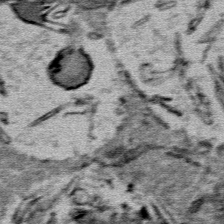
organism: Mouse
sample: Mouse Salivary gland